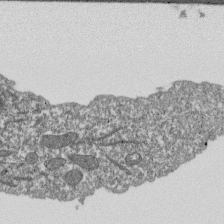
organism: Dictyostelium discoideum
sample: Dictyostelium multivesicular bodies